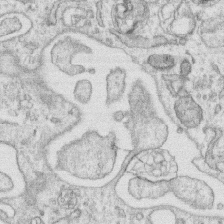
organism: Human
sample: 1205lu cells